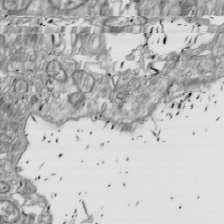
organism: Drosophila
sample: Cell division; meiosis; drosophila spermatocytes